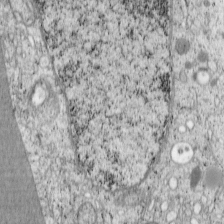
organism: African green monkey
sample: COS-7 cells